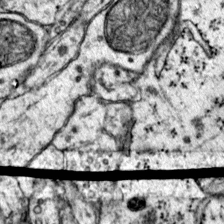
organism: Mouse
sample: Primary visual cortex